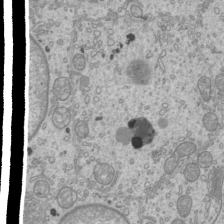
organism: Mouse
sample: Cilia; mouse epididymis